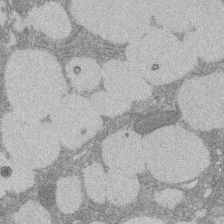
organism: Rat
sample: Salivary granule